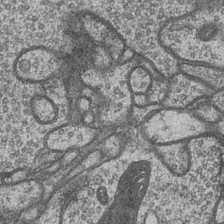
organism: Drosophila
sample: Optic medulla